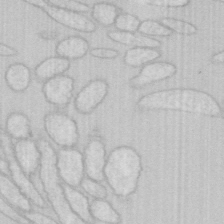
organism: Human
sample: HeLa cells